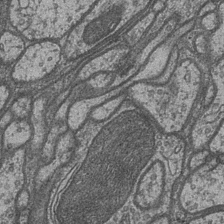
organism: Drosophila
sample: Optic medulla